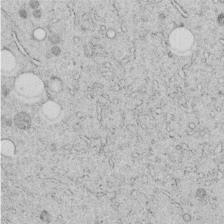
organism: C. elegans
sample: C. elegans embryo early stage